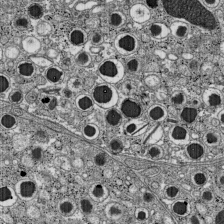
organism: C57BL Mouse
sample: Pancreatic islet